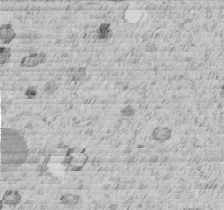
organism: C. elegans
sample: C. elegans embryo early stage